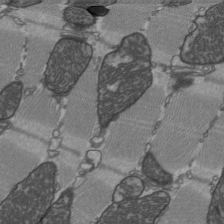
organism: C57BL Mouse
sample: Heart